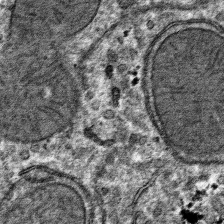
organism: Mouse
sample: Mouse hepatocytes